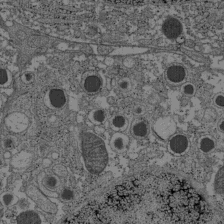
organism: C57BL Mouse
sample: Pancreatic islet